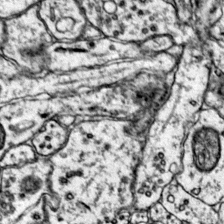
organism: Mouse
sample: Primary visual cortex